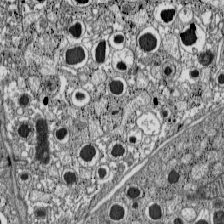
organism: C57BL Mouse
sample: Pancreatic islet